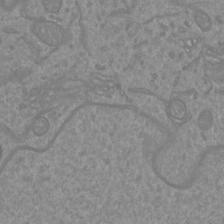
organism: Mouse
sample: Cortical neurons